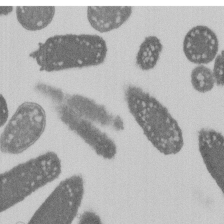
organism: E. coli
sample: Bacterial nucleoid